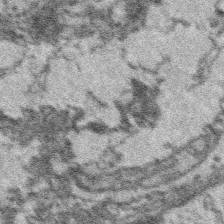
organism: Platynereis dumerilii